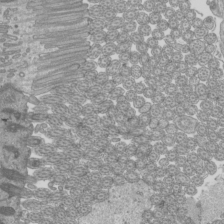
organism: Mouse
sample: Cilia; mouse epididymis